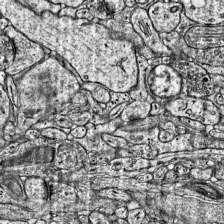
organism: Mouse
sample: Visual Cortex